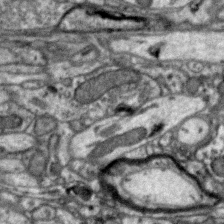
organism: Zebra finch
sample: Brain